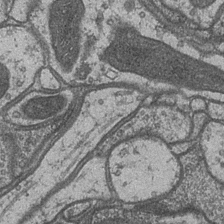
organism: Drosophila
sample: Optic medulla